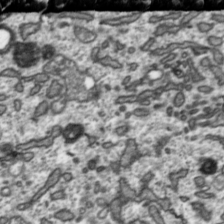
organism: Toxoplasma gondii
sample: Parasites in a vacuole inside a host cell